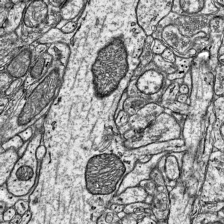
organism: Mouse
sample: Visual Cortex